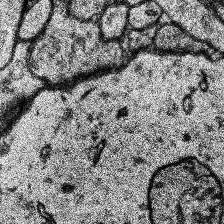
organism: Human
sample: Temporal Lobe